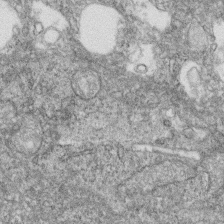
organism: Zebrafish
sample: Cilia; retinal pigment epithelium